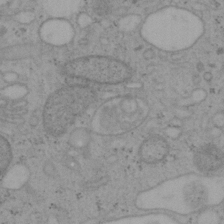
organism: Mouse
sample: OT-I killer T cells with ID8 ovarian cancer cells